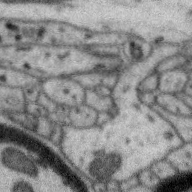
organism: Zebra finch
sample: Brain